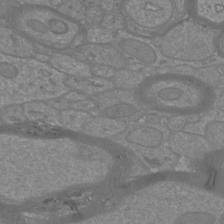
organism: Mouse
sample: Cortical neurons